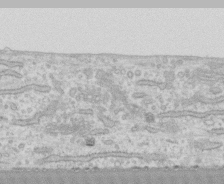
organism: Human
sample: CRL-1474